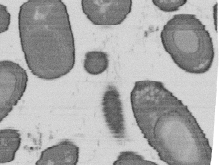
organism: B. subtilis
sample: Bacterial spore